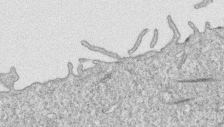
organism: Human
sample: HeLa cell HIV synapse